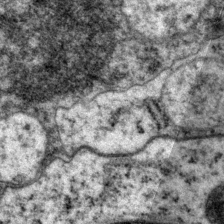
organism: P. pacificus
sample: Pharynx